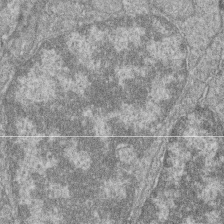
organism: Zebrafish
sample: Cilia; retinal pigment epithelium